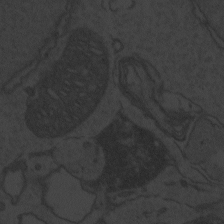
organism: Zebrafish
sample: Macrophage infected with Toxoplasma gondii